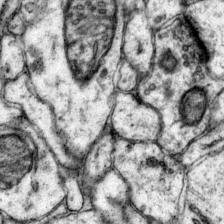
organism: Mouse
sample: Primary visual cortex